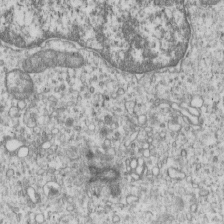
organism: Human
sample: MDA-MB-231 cells